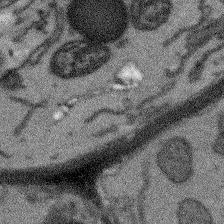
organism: Arabidopsis thaliana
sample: Root tip